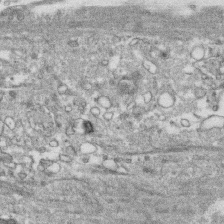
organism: Human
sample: CRL-1474